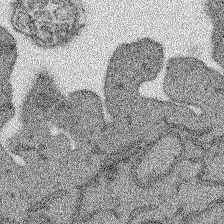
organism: Human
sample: HeLa cells